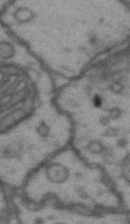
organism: Drosophila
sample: Brain